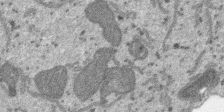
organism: Human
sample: Lung epithelial cells infected with SARS-CoV-2